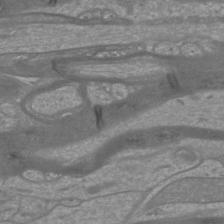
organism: Mouse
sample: Cortical neurons